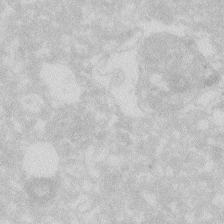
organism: Zebrafish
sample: Macrophage